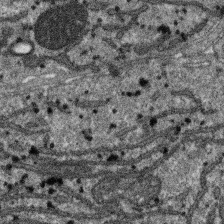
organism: Human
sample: Lung epithelial cells infected with SARS-CoV-2